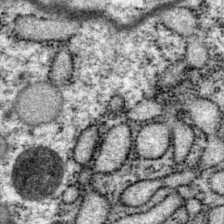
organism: P. pacificus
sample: Pharynx